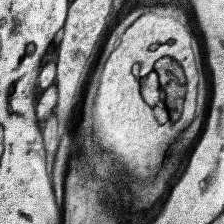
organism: Human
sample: Temporal Lobe